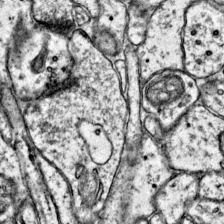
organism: Mouse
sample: Primary visual cortex